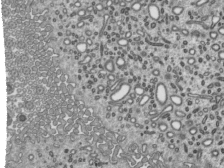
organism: Mouse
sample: Mouse epididymis efferent ductule cilia